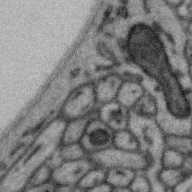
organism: Zebra finch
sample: Brain